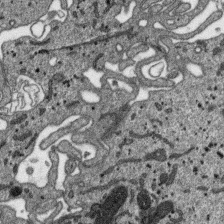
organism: Human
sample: Lung epithelial cells infected with SARS-CoV-2